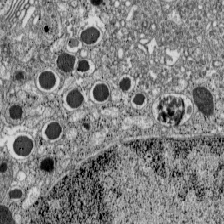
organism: C57BL Mouse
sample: Pancreatic islet